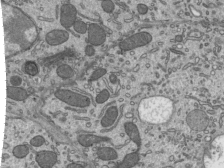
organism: Mouse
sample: Mouse epididymis efferent ductule cilia